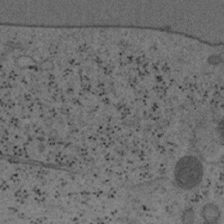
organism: Human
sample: HeLa cells